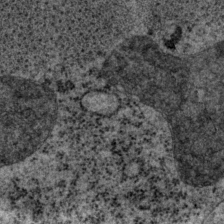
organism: P. pacificus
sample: Pharynx